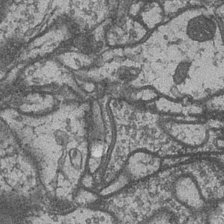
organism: Drosophila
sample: Optic medulla